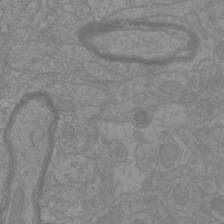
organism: Mouse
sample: Cortical neurons